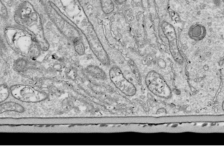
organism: Drosophila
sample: Cell division; meiosis; drosophila spermatocytes